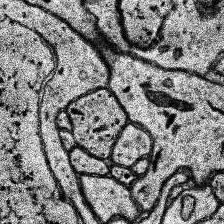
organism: Human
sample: Temporal Lobe